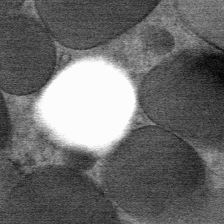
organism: Mouse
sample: Mouse Salivary gland